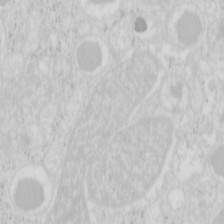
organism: Mouse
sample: Pancreas